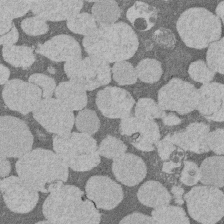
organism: Rat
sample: Salivary granule